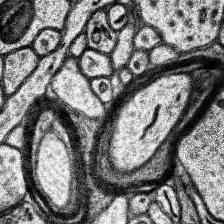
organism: Human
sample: Temporal Lobe